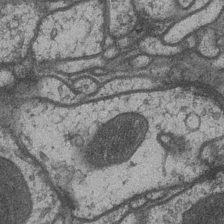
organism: Drosophila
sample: Optic medulla